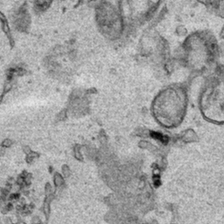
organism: Human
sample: Mitochondria in HCT116 cells